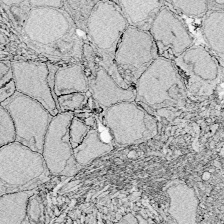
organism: Zebrafish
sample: Whole-Brain